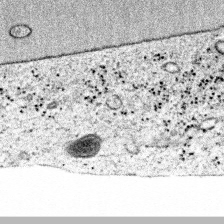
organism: Human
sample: HeLa cells